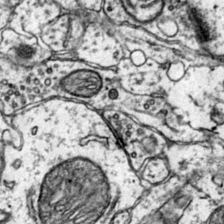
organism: Mouse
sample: Primary visual cortex